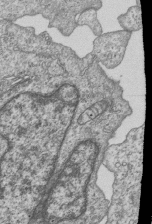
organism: Human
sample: MDA-MB-231 cells